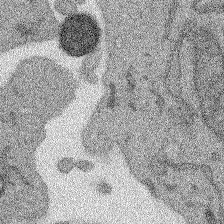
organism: Human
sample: HeLa cells